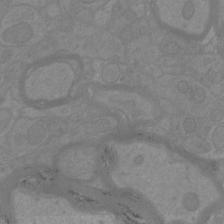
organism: Mouse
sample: Cortical neurons